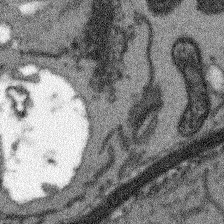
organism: Arabidopsis thaliana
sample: Root tip